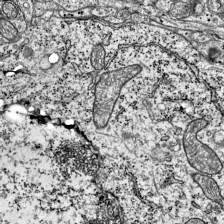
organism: Mouse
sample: Visual Cortex